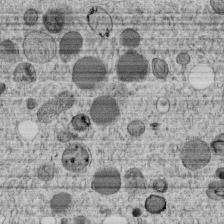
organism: C. elegans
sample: C. elegans embryo early stage